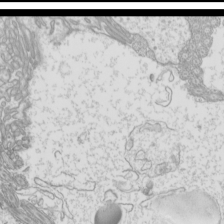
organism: Mouse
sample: Cilia; mouse epididymis